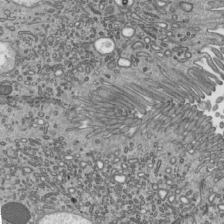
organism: Mouse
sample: Mouse epididymis efferent ductule cilia